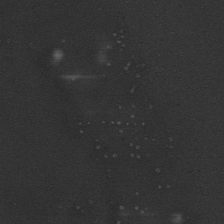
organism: Mouse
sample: Cilia; mouse epididymis